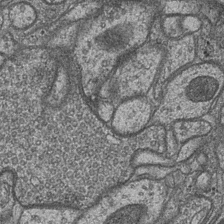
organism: Drosophila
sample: Optic medulla